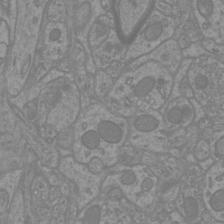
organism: Mouse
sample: Cortical neurons